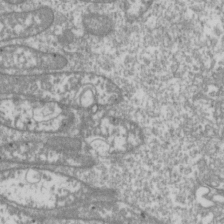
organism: Drosophila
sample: Cell division; meiosis; drosophila spermatocytes